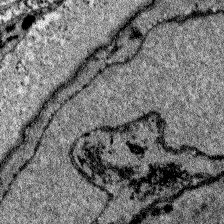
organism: Zebrafish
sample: Larval olfactory bulb